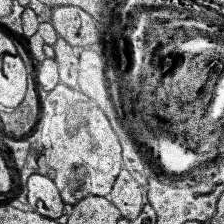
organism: Human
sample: Temporal Lobe